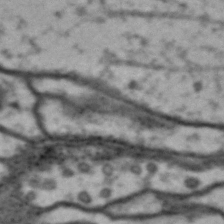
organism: Drosophila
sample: Brain